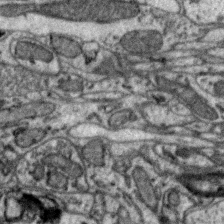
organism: Zebra finch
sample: Brain